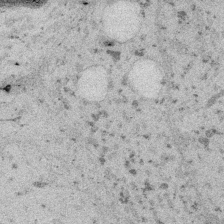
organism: Embia sp.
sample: Silk gland